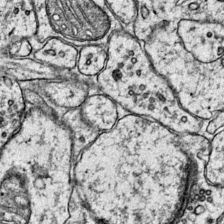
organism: Mouse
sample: Primary visual cortex